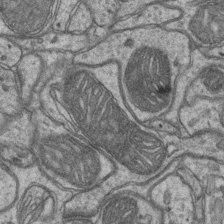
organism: Mouse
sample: CA1 Hippocampus